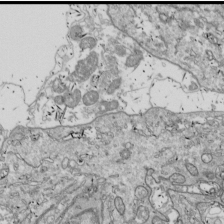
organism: Drosophila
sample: Cell division; meiosis; drosophila spermatocytes